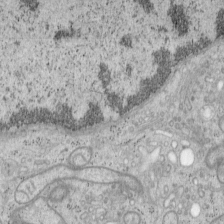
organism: Mouse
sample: OT-I killer T cells with ID8 ovarian cancer cells